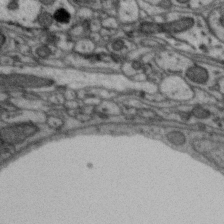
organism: Zebra finch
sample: Brain